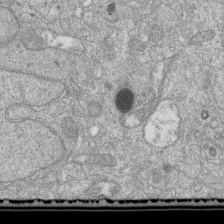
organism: Human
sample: HeLa cell HIV synapse